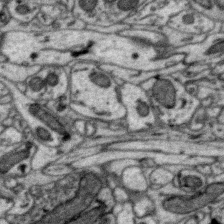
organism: Zebra finch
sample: Brain